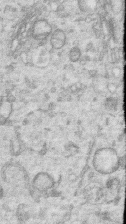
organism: Human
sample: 1205lu cells